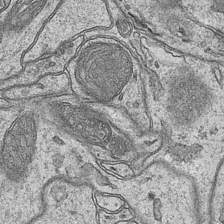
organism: Mouse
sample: CA1 Hippocampus